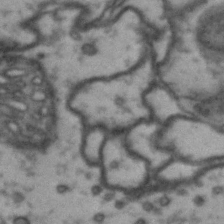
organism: Drosophila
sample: Brain